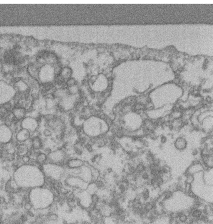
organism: Mouse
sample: T cell stromal cell synapse